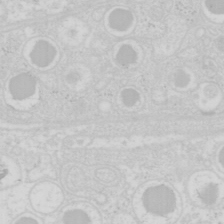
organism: Mouse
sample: Pancreas